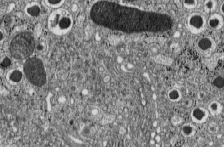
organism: C57BL Mouse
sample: Pancreatic islet